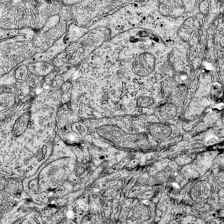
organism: Mouse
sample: Visual Cortex